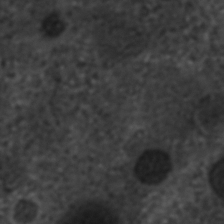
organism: C. elegans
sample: C. elegans embryo